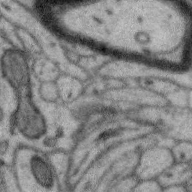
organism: Zebra finch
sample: Brain